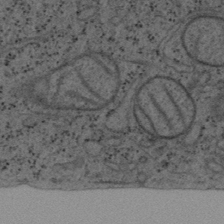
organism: Human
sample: HeLa cells